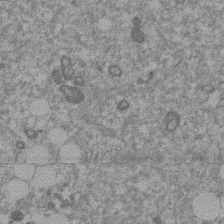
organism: Mouse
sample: Dividing mouse embryo 1 cell stage